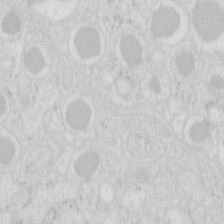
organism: Mouse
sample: Pancreas